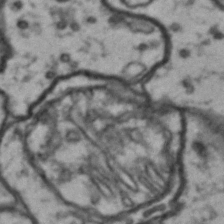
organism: Drosophila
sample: Brain